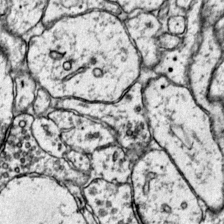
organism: Mouse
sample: Primary visual cortex